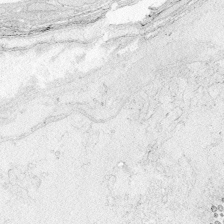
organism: Zebrafish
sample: Whole-Brain